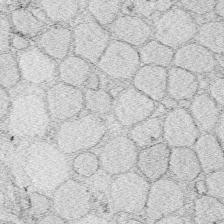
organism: Zebrafish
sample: Whole-Brain